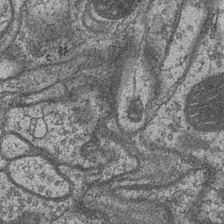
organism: Drosophila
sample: Optic medulla